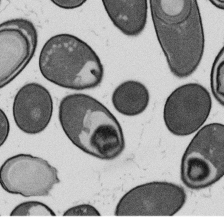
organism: B. subtilis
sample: Bacterial spore